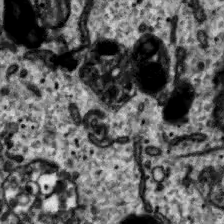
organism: Human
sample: HeLa cells